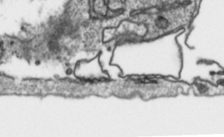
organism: Toxoplasma gondii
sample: Parasites in a vacuole inside a host cell